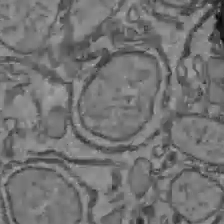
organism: C57BL Mouse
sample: Liver